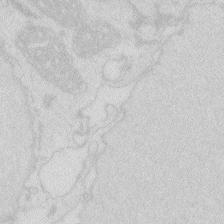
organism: Zebrafish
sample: Macrophage